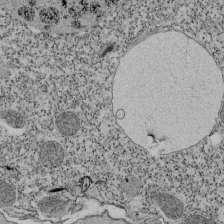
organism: Tetrahymena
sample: Cilia in tetrahymena